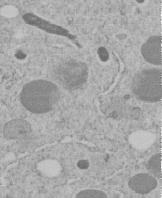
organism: C. elegans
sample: C. elegans embryo early stage